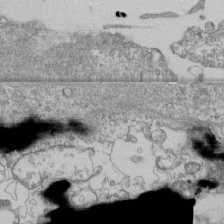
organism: Human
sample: Fibroblast cells